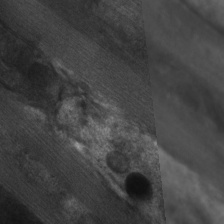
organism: C. elegans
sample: Pharynx